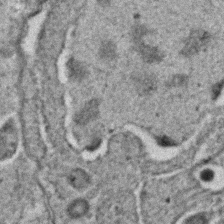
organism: C. elegans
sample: C. elegans embryo